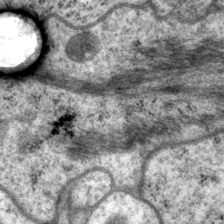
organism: P. pacificus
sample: Pharynx